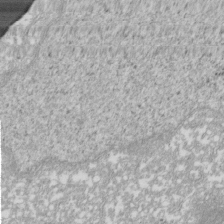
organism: Xenopus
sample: Cilia; centrioles in frog embryo cells